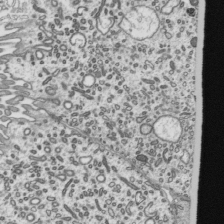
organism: Mouse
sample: Mouse epididymis efferent ductule cilia